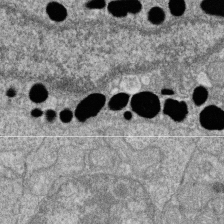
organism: Zebrafish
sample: Cilia; retinal pigment epithelium